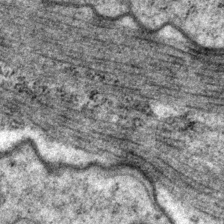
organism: P. pacificus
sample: Pharynx